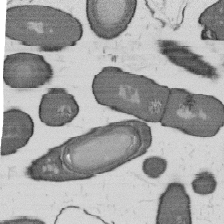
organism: B. subtilis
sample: Bacterial spore